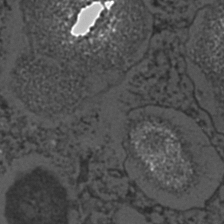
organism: C. elegans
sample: C. elegans embryo